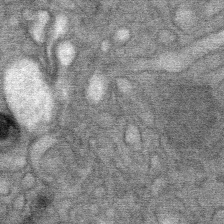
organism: Mouse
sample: Mouse Salivary gland